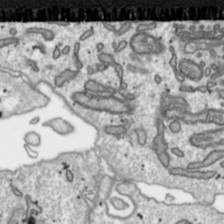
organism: Toxoplasma gondii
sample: Parasites in a vacuole inside a host cell